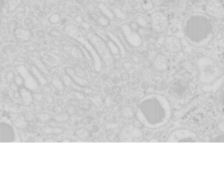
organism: Mouse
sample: Pancreas